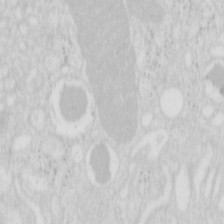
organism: Mouse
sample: Pancreas